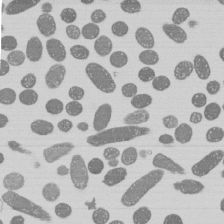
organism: E. coli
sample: Bacterial nucleoid